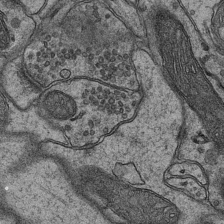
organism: Mouse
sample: CA1 Hippocampus